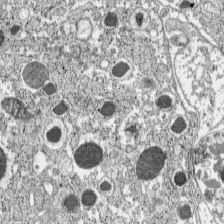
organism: C57BL Mouse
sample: Pancreatic islet